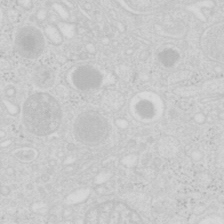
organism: Mouse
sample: Pancreas